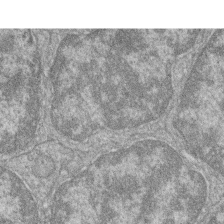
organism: Zebrafish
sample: Cilia; retinal pigment epithelium